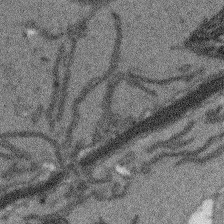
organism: Arabidopsis thaliana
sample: Root tip